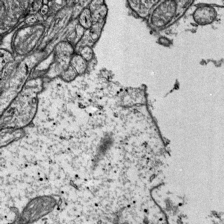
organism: Mouse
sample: Visual Cortex